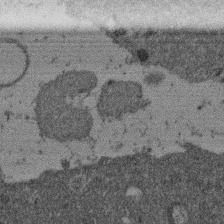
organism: Mouse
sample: Dividing mouse embryo 1 cell stage